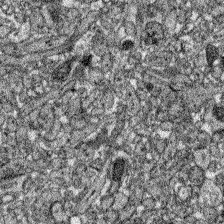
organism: Zebrafish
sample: Larval olfactory bulb